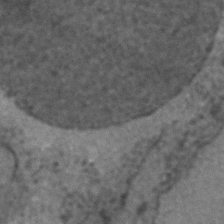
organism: C. elegans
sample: C. elegans embryo